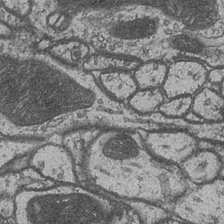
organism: Drosophila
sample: Optic medulla